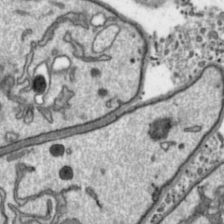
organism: Toxoplasma gondii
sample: Parasites in a vacuole inside a host cell